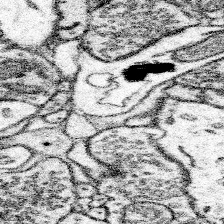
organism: Mouse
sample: Somatosensory cortex neuropil